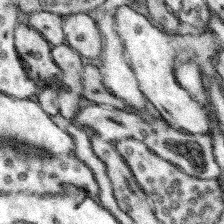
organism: Mouse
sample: Somatosensory cortex neuropil